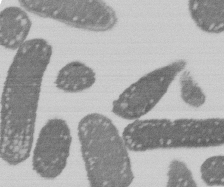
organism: E. coli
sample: Bacterial nucleoid